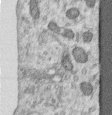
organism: Human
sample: Centriole in RPE cells